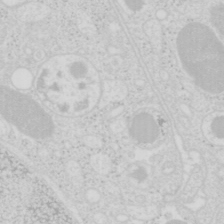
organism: Mouse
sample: Pancreas